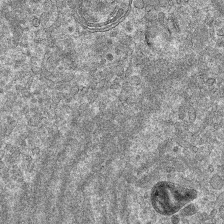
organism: Mouse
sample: Mouse hepatocytes